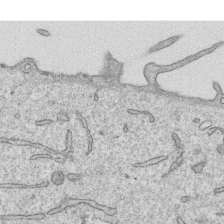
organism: Human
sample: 1205lu cells